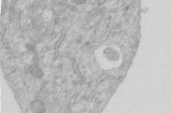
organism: Human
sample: Centriole in RPE cells